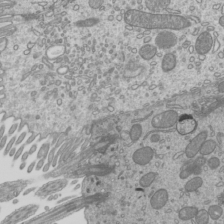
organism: Mouse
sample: Cilia; mouse epididymis